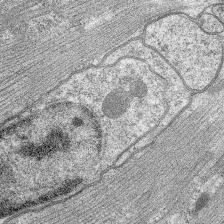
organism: C. elegans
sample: Pharynx